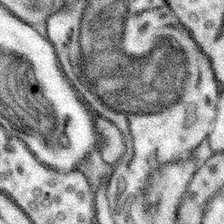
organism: Mouse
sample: Somatosensory cortex neuropil